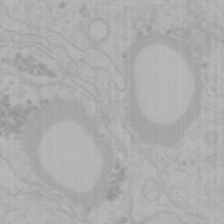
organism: Mouse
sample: Choroid plexus